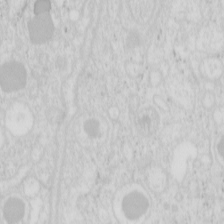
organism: Mouse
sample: Pancreas